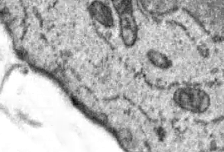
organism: Human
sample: HeLa cells